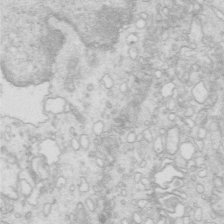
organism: Mouse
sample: Multiciliated cells